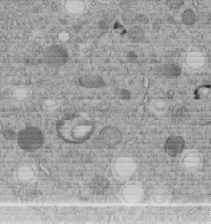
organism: C. elegans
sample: C. elegans embryo early stage